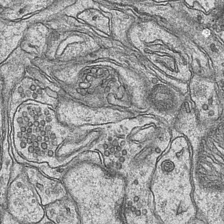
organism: Mouse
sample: CA1 Hippocampus